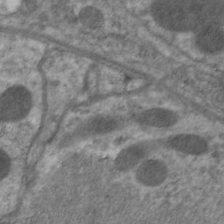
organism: C. elegans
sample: Pharynx